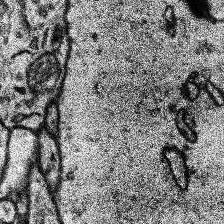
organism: Human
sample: Temporal Lobe